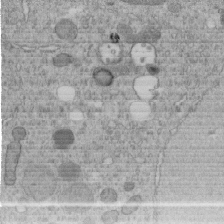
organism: C. elegans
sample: C. elegans embryo early stage